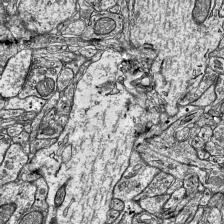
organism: Mouse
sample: Visual Cortex